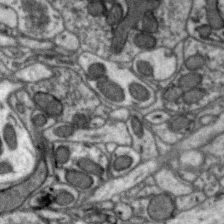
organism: Zebra finch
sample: Brain